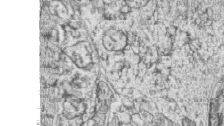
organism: Zebrafish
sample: synaptic ribbons in rod cells and cone cells